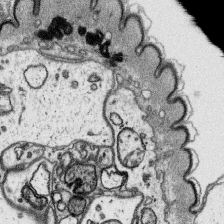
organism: Platynereis dumerilii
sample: Parapodia